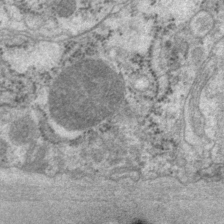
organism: P. pacificus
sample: Pharynx